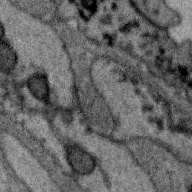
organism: Zebra finch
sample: Brain